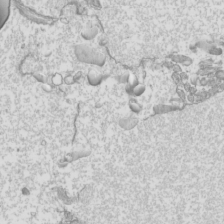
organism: Mouse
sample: Cilia; mouse epididymis